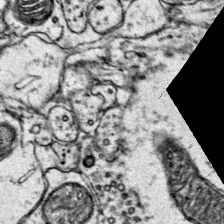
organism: Mouse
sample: Primary visual cortex